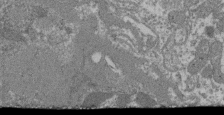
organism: Mouse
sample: Glomerulus